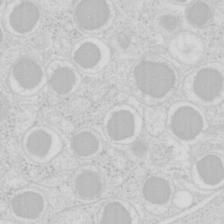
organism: Mouse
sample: Pancreas